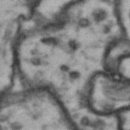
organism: Drosophila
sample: Brain